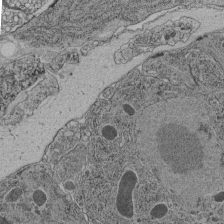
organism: C. elegans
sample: C. elegans pharynx